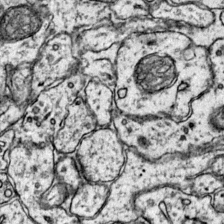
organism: Mouse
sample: Primary visual cortex